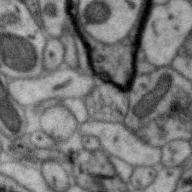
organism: Zebra finch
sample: Brain